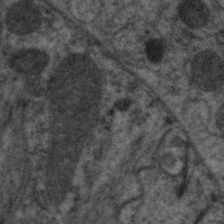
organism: C. elegans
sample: Pharynx